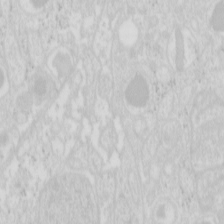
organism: Mouse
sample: Pancreas